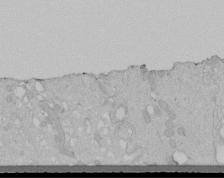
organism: Human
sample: Melanocyte Keratinocyte synapse skin construct